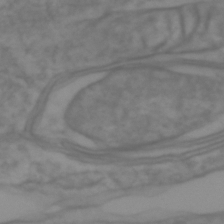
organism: Zebrafish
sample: Zebrafish embryo